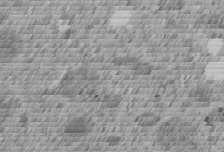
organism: C. elegans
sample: C. elegans embryo early stage